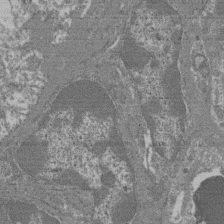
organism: Mouse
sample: Glomerulus